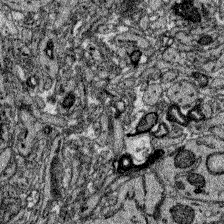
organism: Zebrafish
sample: Larval olfactory bulb